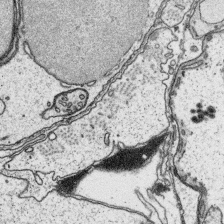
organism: Platynereis dumerilii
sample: Parapodia